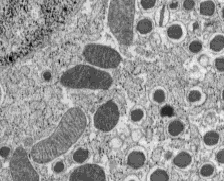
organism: C57BL Mouse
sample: Pancreatic islet